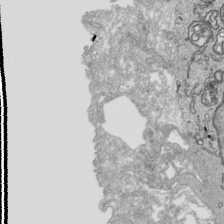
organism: Human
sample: Mitochondria in HCT116 cells